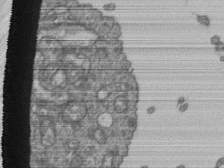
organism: Human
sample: Retinal organoid Rod and Cone cells